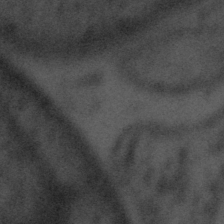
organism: Tuwongella immobilis